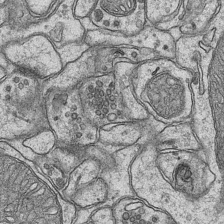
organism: Mouse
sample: CA1 Hippocampus